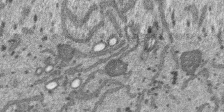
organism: Human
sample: Lung epithelial cells infected with SARS-CoV-2